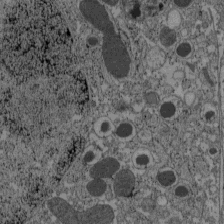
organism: C57BL Mouse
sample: Pancreatic islet